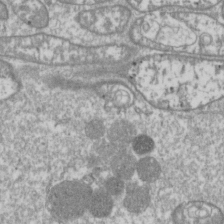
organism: Drosophila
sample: Cell division; meiosis; drosophila spermatocytes